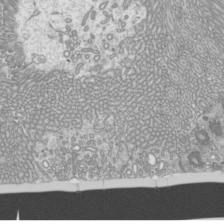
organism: Mouse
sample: Cilia; mouse epididymis